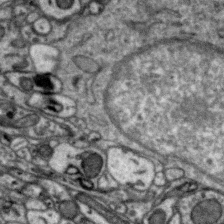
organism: Zebra finch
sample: Brain